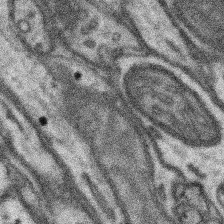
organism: Mouse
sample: Somatosensory cortex neuropil